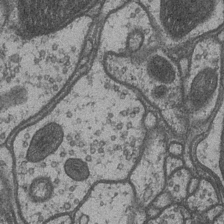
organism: Drosophila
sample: Optic medulla